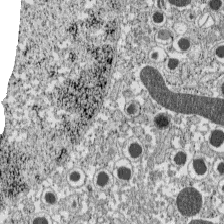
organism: C57BL Mouse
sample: Pancreatic islet